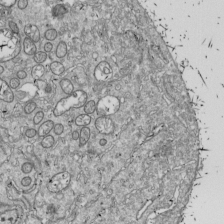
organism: Drosophila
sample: Cell division; meiosis; drosophila spermatocytes